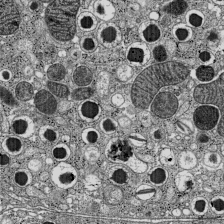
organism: C57BL Mouse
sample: Pancreatic islet